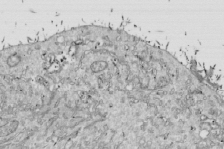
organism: Drosophila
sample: Cell division; meiosis; drosophila spermatocytes